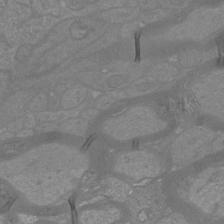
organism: Mouse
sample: Cortical neurons